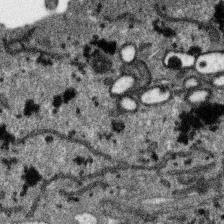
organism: Human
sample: Lung epithelial cells infected with SARS-CoV-2